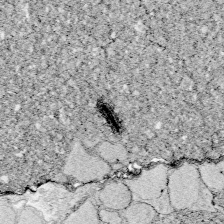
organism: Zebrafish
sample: Whole-Brain